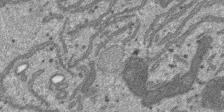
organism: Human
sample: Lung epithelial cells infected with SARS-CoV-2